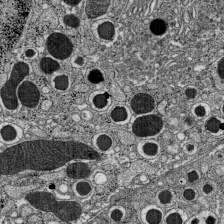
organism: C57BL Mouse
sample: Pancreatic islet